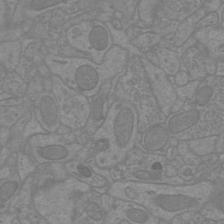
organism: Mouse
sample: Cortical neurons